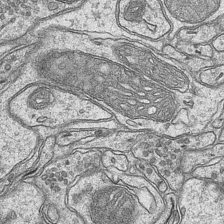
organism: Mouse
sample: CA1 Hippocampus